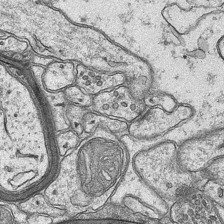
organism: Mouse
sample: CA1 Hippocampus